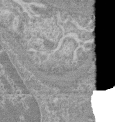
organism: Mouse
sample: Glomerulus